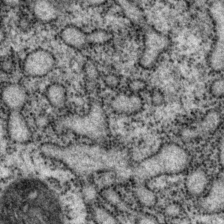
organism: P. pacificus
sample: Pharynx